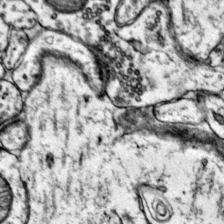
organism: Mouse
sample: Primary visual cortex